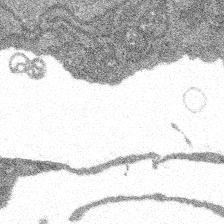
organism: Spongilla lacustris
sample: Multiple